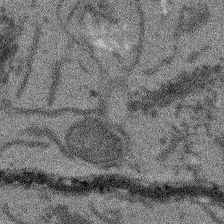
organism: Arabidopsis thaliana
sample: Root tip